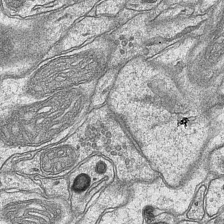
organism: Mouse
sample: CA1 Hippocampus